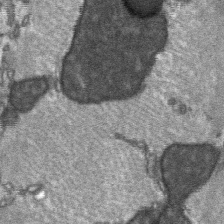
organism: C57BL Mouse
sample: Soleus